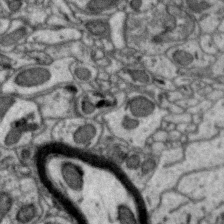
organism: Zebra finch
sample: Brain